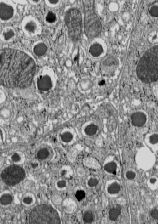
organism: C57BL Mouse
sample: Pancreatic islet